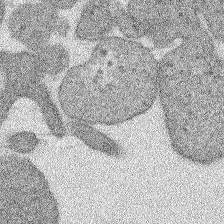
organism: Human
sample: HeLa cells